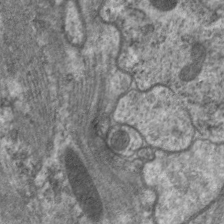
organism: C. elegans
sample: Pharynx